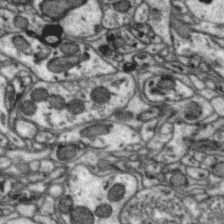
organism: Zebra finch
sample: Brain